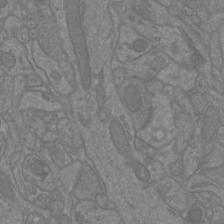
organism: Mouse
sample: Cortical neurons